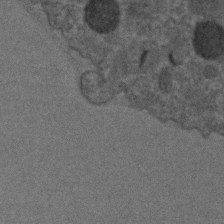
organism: C. elegans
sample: C. elegans embryo